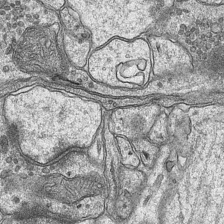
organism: Mouse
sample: CA1 Hippocampus